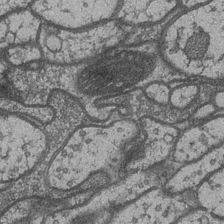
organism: Drosophila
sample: Optic medulla